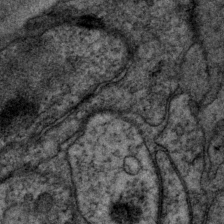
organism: P. pacificus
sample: Pharynx